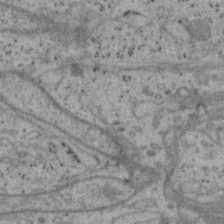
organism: Human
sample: HeLa cells